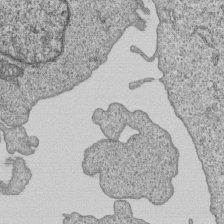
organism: Human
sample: MDA-MB-231 cells